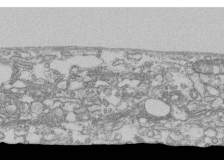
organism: Human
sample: Fibroblast cells